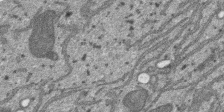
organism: Human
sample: Lung epithelial cells infected with SARS-CoV-2